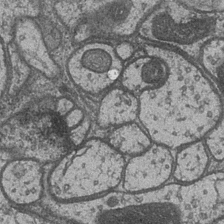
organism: Drosophila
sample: Optic medulla